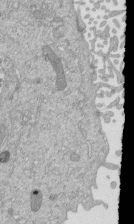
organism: Mouse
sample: ED-1 cell nuclei; centrioles